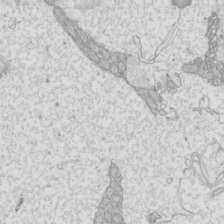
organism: Mouse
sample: Cilia; mouse epididymis